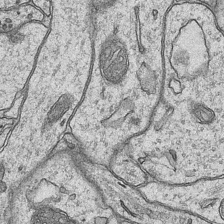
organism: Mouse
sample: CA1 Hippocampus